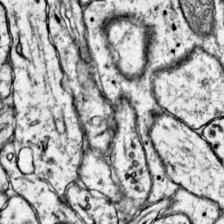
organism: Mouse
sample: Primary visual cortex